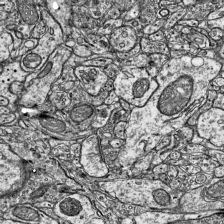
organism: Mouse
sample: Visual Cortex